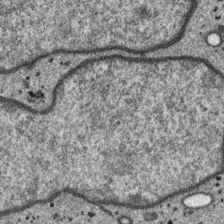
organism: Human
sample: Lung epithelial cells infected with SARS-CoV-2